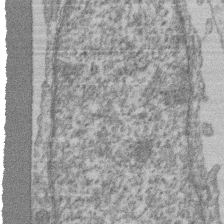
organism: Mouse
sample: T cell stromal cell synapse